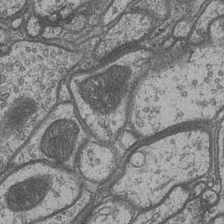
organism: Drosophila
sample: Optic medulla